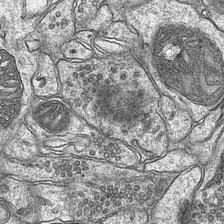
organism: Mouse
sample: CA1 Hippocampus